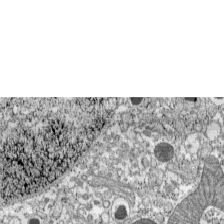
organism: C57BL Mouse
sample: Pancreatic islet